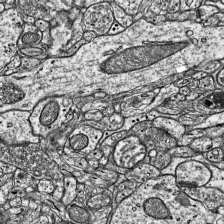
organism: Mouse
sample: Visual Cortex